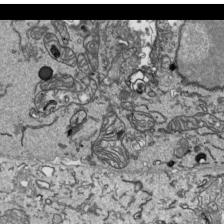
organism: Human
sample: Mitochondria in HCT116 cells